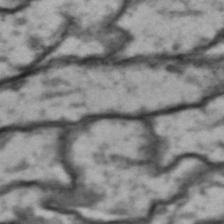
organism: Drosophila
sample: Brain